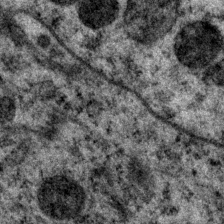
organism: P. pacificus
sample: Pharynx